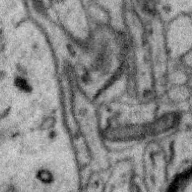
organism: Zebra finch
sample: Brain